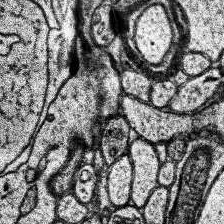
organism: Human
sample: Temporal Lobe